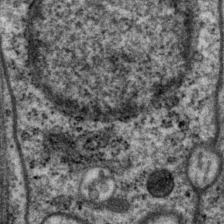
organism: P. pacificus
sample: Pharynx